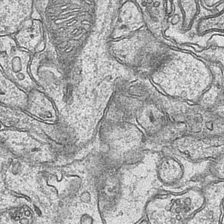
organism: Mouse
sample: CA1 Hippocampus